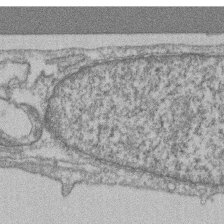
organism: Mouse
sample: T cell stromal cell synapse